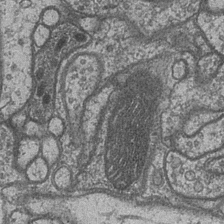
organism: Drosophila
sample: Optic medulla